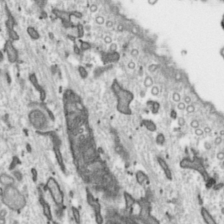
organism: Toxoplasma gondii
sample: Parasites in a vacuole inside a host cell